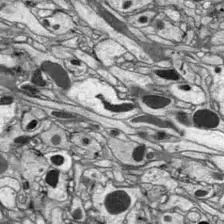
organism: Drosophila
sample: Optic lobe